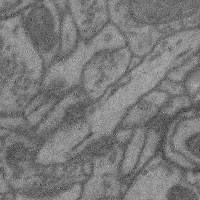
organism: Mouse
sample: Cerebral cortex